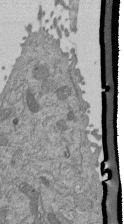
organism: Mouse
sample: ED-1 cell nuclei; centrioles